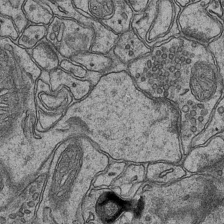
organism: Mouse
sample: CA1 Hippocampus